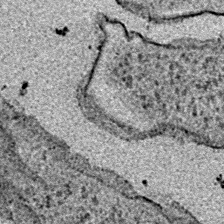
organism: E. coli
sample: E. Coli Bacteria